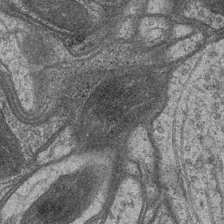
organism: Drosophila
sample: Optic medulla